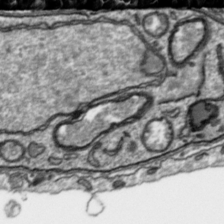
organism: Toxoplasma gondii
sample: Parasites in a vacuole inside a host cell